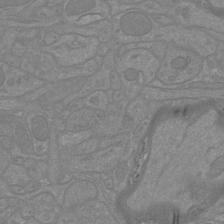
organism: Mouse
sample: Cortical neurons